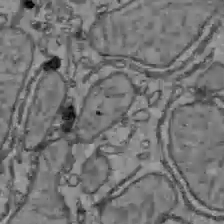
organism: C57BL Mouse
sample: Liver